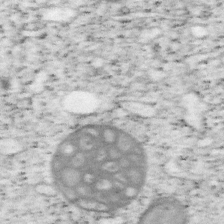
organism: Mouse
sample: OT-I killer T cells with ID8 ovarian cancer cells